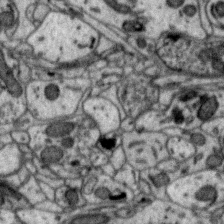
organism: Zebra finch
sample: Brain